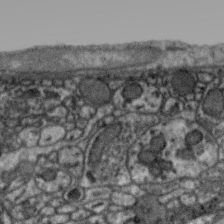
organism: Zebra finch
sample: Brain